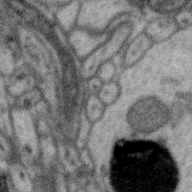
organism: Zebra finch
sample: Brain